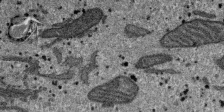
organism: Human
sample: Lung epithelial cells, uninfected (mock) control